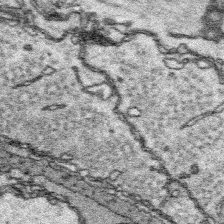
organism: Platynereis dumerilii